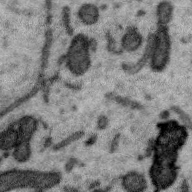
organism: Zebra finch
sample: Brain